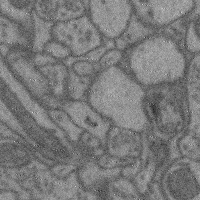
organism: Mouse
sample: Cerebral cortex